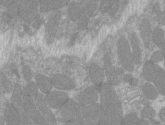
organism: C57BL Mouse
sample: Tibialis anterior muscle cell